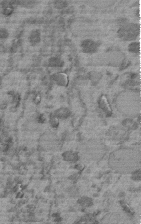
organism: C. elegans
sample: C. elegans embryo early stage